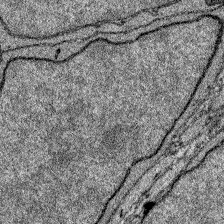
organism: Zebrafish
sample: Larval olfactory bulb